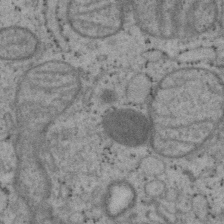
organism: Human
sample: HeLa cells